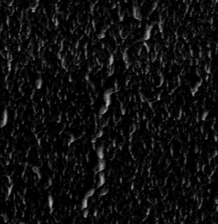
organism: Toxoplasma gondii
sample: Parasites in a vacuole inside a host cell